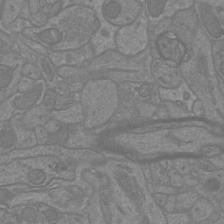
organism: Mouse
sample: Cortical neurons